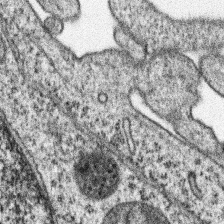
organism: Human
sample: HeLa cells